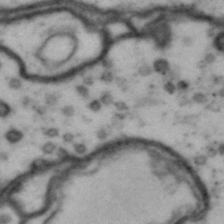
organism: Drosophila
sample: Brain